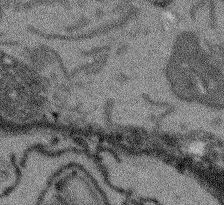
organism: Arabidopsis thaliana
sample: Root tip